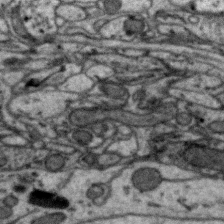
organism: Zebra finch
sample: Brain